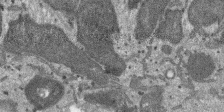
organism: Human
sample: Lung epithelial cells infected with SARS-CoV-2